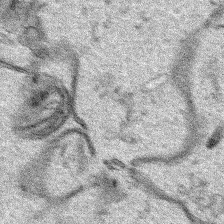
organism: Human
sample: Mitochondria in HCT116 cells